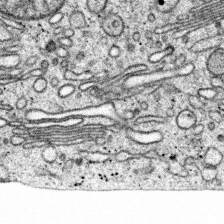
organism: Human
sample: HeLa cells